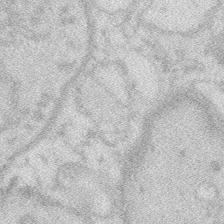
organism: Zebrafish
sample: Macrophage